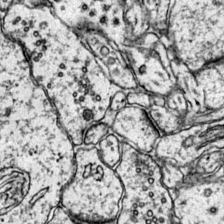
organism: Mouse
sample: Primary visual cortex